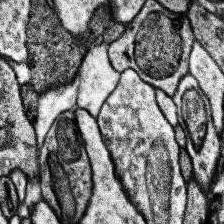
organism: Human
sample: Temporal Lobe